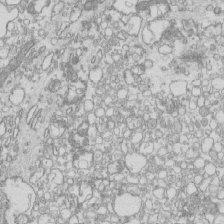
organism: Mouse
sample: Macrophages